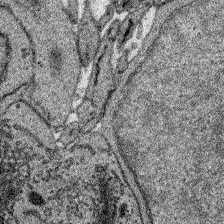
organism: Zebrafish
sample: Larval olfactory bulb